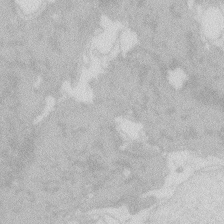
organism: Zebrafish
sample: Macrophage